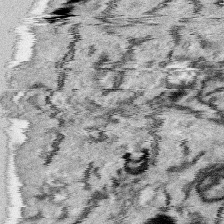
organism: Human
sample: HeLa cells